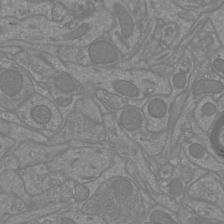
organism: Mouse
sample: Cortical neurons